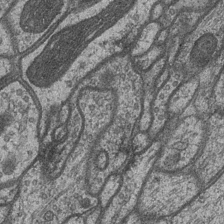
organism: Drosophila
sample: Optic medulla